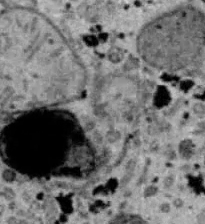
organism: Mouse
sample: Liver from an obese (ob/ob) mouse